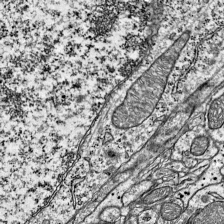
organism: Mouse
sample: Visual Cortex